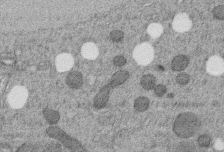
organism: C. elegans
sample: C. elegans embryo early stage